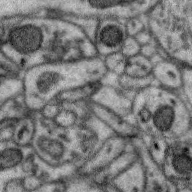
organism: Zebra finch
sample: Brain